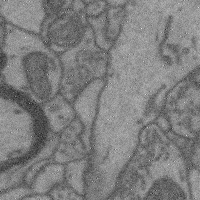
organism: Mouse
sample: Cerebral cortex